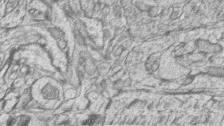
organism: Zebrafish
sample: synaptic ribbons in rod cells and cone cells